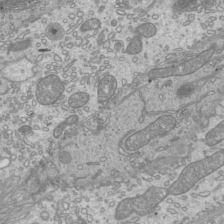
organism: Mouse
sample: Cilia; mouse epididymis